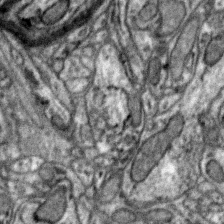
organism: Zebra finch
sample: Brain